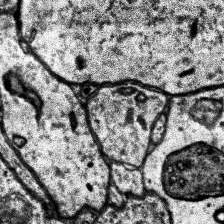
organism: Human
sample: Temporal Lobe